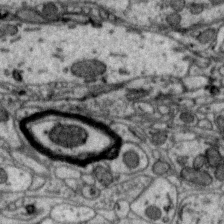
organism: Zebra finch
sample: Brain